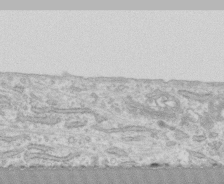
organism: Human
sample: CRL-1474